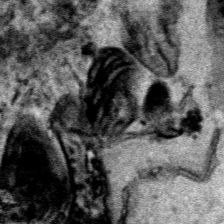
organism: Human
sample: Mitochondria in HCT116 cells